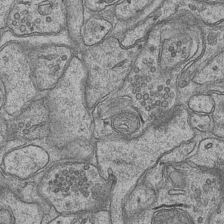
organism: Mouse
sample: CA1 Hippocampus